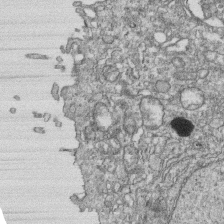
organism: Human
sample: HeLa cell HIV synapse